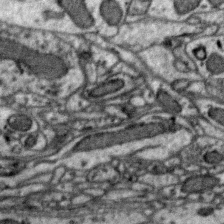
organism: Zebra finch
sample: Brain